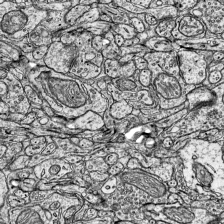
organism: Mouse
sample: Visual Cortex